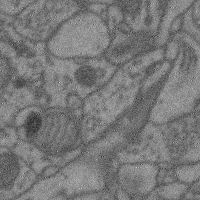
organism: Mouse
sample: Cerebral cortex